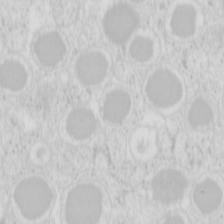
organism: Mouse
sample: Pancreas